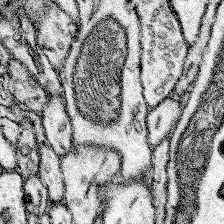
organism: Mouse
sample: Somatosensory cortex neuropil